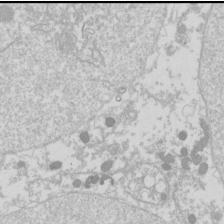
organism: Drosophila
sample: Cell division; meiosis; drosophila spermatocytes